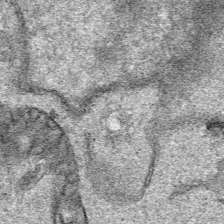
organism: Human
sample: Mitochondria in HCT116 cells